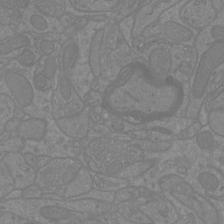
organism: Mouse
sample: Cortical neurons